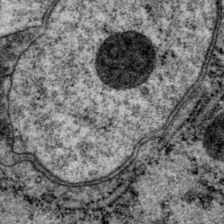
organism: P. pacificus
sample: Pharynx